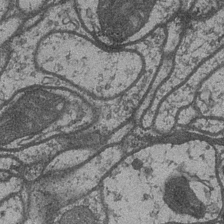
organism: Drosophila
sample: Optic medulla